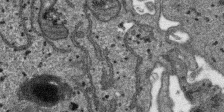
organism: Human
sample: Lung epithelial cells infected with SARS-CoV-2